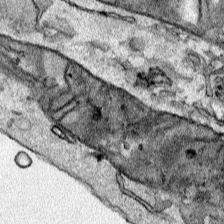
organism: Human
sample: Mitochondria in HCT116 cells